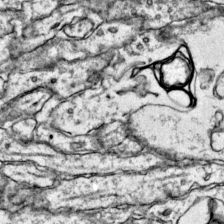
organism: Mouse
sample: Primary visual cortex